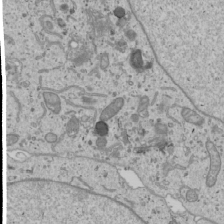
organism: Human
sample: Mitochondria in U2OS cells